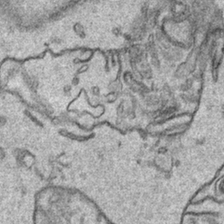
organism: Human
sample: Mitochondria in HCT116 cells